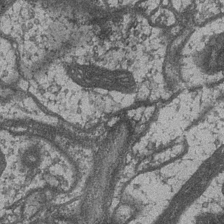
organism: Drosophila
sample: Optic medulla